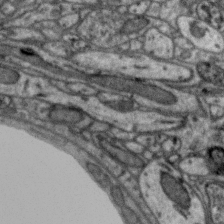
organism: Zebra finch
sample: Brain